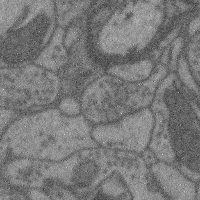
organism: Mouse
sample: Cerebral cortex